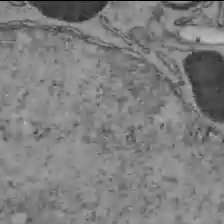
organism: C57BL Mouse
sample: Liver